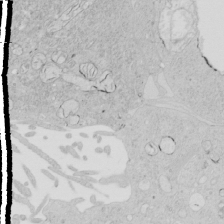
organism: Human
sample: Mitochondria in HCT116 cells